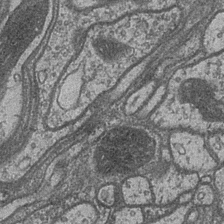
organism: Drosophila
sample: Optic medulla